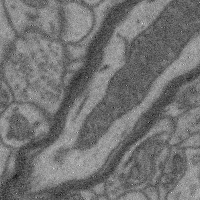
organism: Mouse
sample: Cerebral cortex